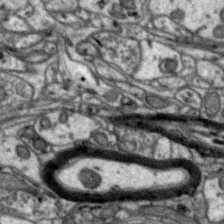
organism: Zebra finch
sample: Brain